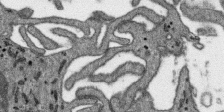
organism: Human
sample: Lung epithelial cells, uninfected (mock) control